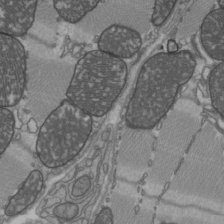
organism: C57BL Mouse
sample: Heart